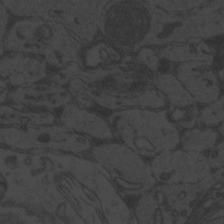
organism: Zebrafish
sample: Macrophage infected with Toxoplasma gondii